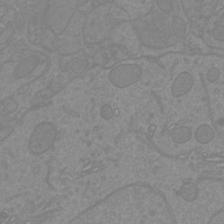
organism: Mouse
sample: Cortical neurons